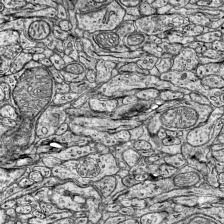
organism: Mouse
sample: Visual Cortex